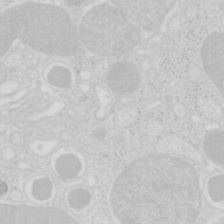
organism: Mouse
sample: Pancreas